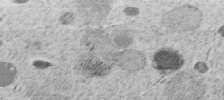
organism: C. elegans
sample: C. elegans embryo early stage